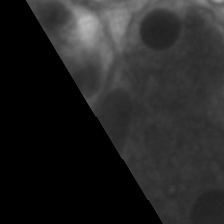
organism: C. elegans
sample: Pharynx